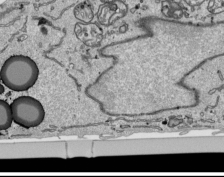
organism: Human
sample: Mitochondria in HCT116 cells